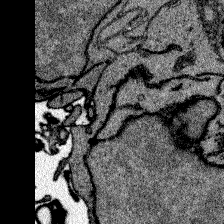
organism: Zebrafish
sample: Larval olfactory bulb